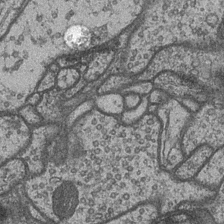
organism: Drosophila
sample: Optic medulla